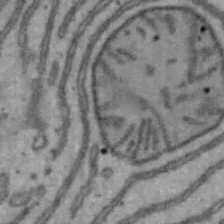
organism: Mouse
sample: Liver